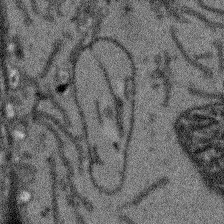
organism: Arabidopsis thaliana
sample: Root tip